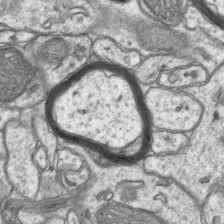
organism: Mouse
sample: CA1 Hippocampus